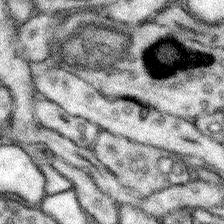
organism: Mouse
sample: Somatosensory cortex neuropil